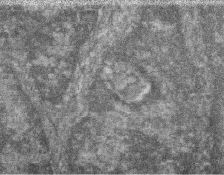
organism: Zebrafish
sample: Cilia; retinal pigment epithelium